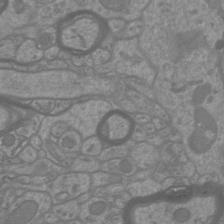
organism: Mouse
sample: Cortical neurons